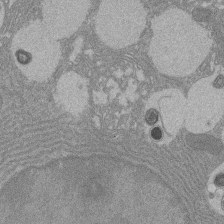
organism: Rat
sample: Salivary granule